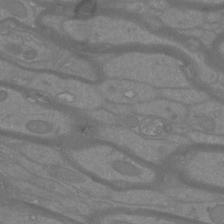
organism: Mouse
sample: Cortical neurons